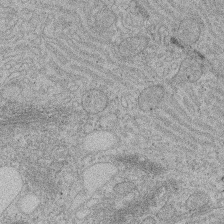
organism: Rat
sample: Salivary granule